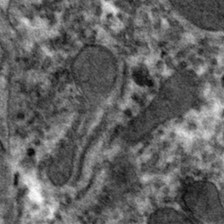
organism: Mouse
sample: Mouse hepatocytes